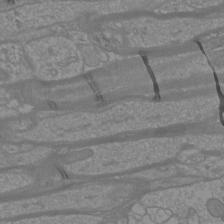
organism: Mouse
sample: Cortical neurons